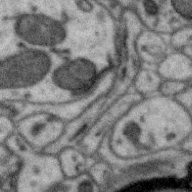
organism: Zebra finch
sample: Brain